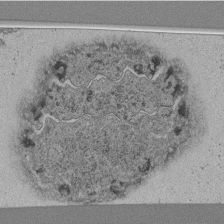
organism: C. elegans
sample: C. elegans pharynx